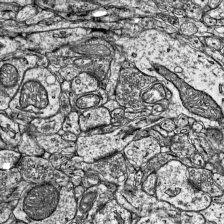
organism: Mouse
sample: Visual Cortex